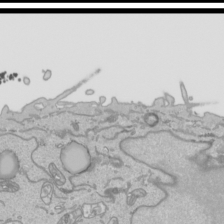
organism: Human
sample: Mitochondria in HCT116 cells